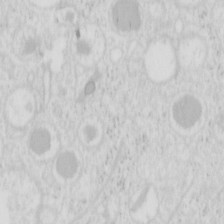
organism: Mouse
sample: Pancreas